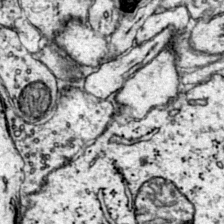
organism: Mouse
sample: Primary visual cortex